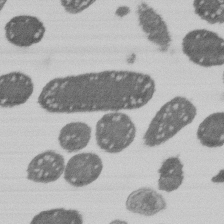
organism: E. coli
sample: Bacterial nucleoid